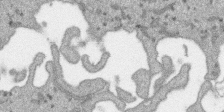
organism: Human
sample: Lung epithelial cells infected with SARS-CoV-2